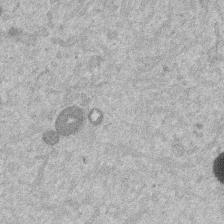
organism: Mouse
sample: Dividing mouse embryo 1 cell stage